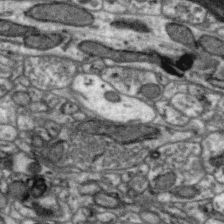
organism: Zebra finch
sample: Brain